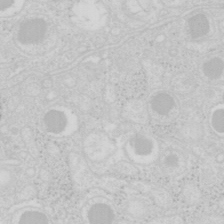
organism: Mouse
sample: Pancreas